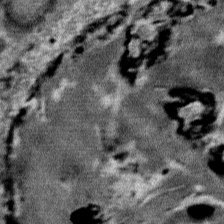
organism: Mouse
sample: Mouse Salivary gland